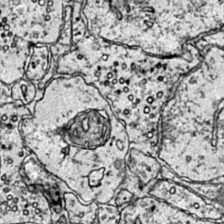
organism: Mouse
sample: Primary visual cortex